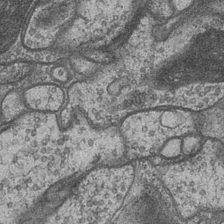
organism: Drosophila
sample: Optic medulla